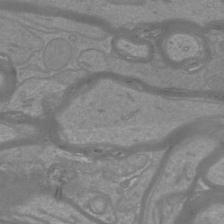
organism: Mouse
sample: Cortical neurons